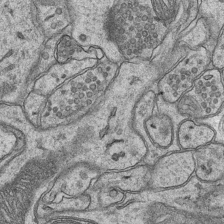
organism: Mouse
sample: CA1 Hippocampus